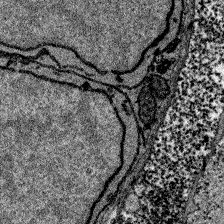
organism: Zebrafish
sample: Larval olfactory bulb